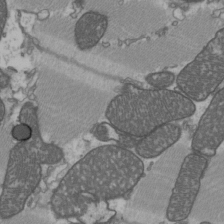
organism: C57BL Mouse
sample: Heart